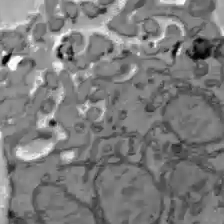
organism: C57BL Mouse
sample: Liver